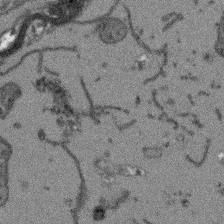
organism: Arabidopsis thaliana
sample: Root tip